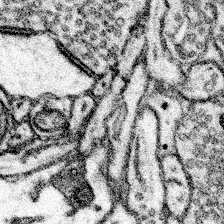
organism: Mouse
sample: Somatosensory cortex neuropil